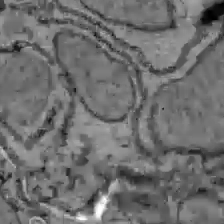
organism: C57BL Mouse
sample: Liver